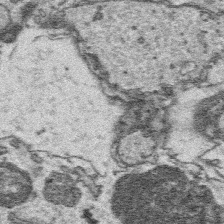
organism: Platynereis dumerilii